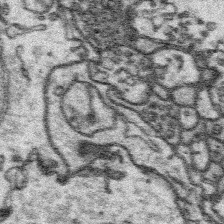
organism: Platynereis dumerilii